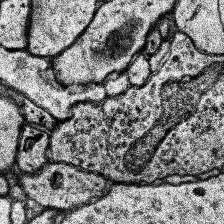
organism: Human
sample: Temporal Lobe